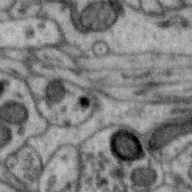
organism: Zebra finch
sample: Brain